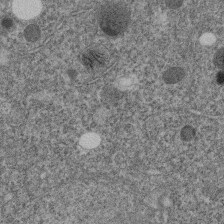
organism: C. elegans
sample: C. elegans embryo early stage